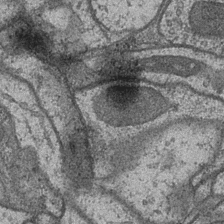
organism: Drosophila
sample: Optic medulla